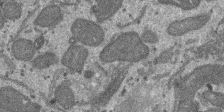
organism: Human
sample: Lung epithelial cells infected with SARS-CoV-2